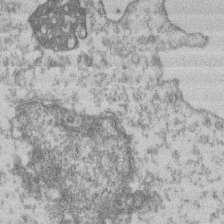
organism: Mouse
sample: T cell stromal cell synapse